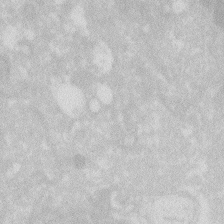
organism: Zebrafish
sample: Macrophage